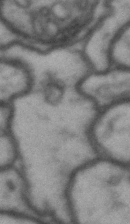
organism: Drosophila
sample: Brain